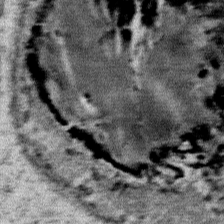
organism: Mouse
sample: Mouse Salivary gland